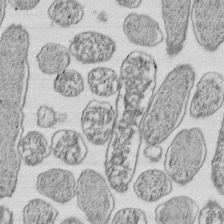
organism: E. coli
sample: Bacterial nucleoid